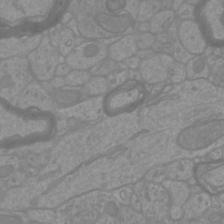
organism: Mouse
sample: Cortical neurons